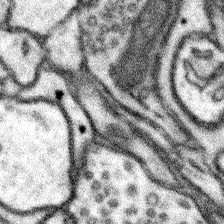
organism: Mouse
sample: Somatosensory cortex neuropil